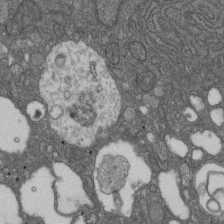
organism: Drosophila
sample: Nephrocyte